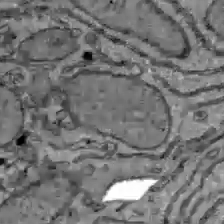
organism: C57BL Mouse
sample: Liver